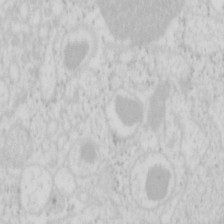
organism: Mouse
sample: Pancreas